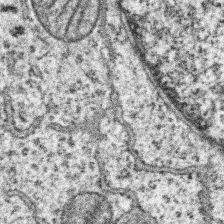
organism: Human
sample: HeLa cells